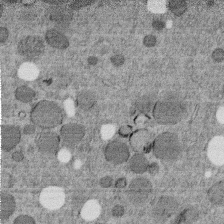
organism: C. elegans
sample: C. elegans embryo early stage